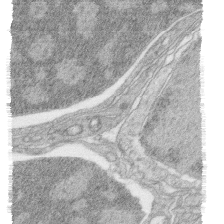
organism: Zebrafish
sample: synaptic ribbons in rod cells and cone cells